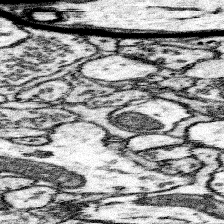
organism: Mouse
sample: Somatosensory cortex neuropil